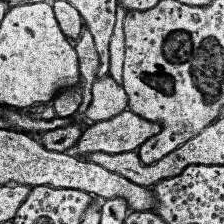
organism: Human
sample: Temporal Lobe